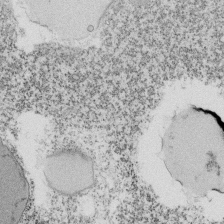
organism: Tetrahymena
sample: Cilia in tetrahymena